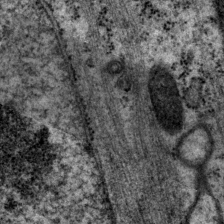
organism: P. pacificus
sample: Pharynx